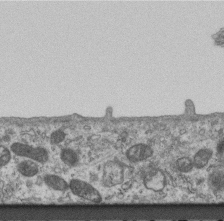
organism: Mouse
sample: Centriole in ependymal cells